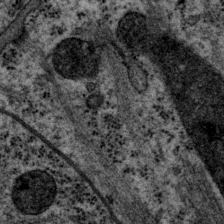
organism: P. pacificus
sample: Pharynx